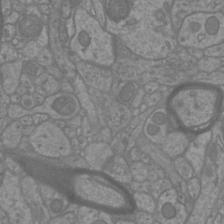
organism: Mouse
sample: Cortical neurons